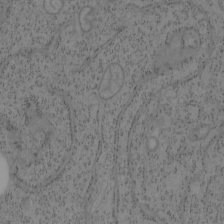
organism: Mouse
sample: OT-I killer T cells with ID8 ovarian cancer cells